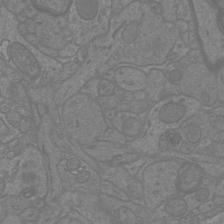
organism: Mouse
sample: Cortical neurons